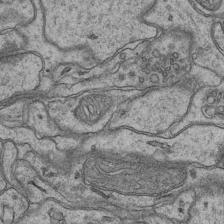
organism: Mouse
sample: CA1 Hippocampus